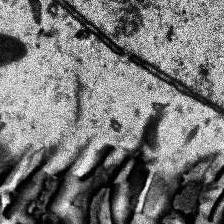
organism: Human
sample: Temporal Lobe